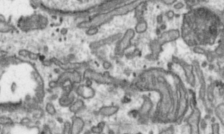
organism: Toxoplasma gondii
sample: Parasites in a vacuole inside a host cell